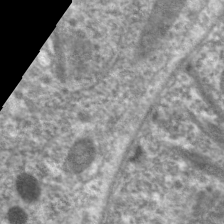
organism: C. elegans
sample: Pharynx